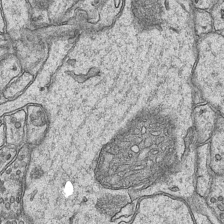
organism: Mouse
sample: CA1 Hippocampus